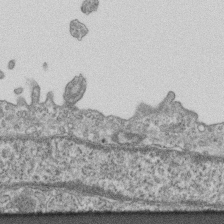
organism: Mouse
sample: Centriole in ependymal cells